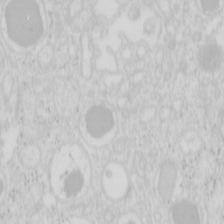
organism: Mouse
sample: Pancreas